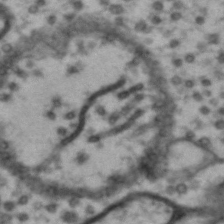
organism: Drosophila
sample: Brain